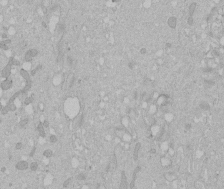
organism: Human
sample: Melanocyte Keratinocyte synapse skin construct